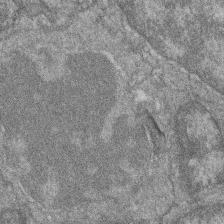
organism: Zebrafish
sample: Cilia; retinal pigment epithelium